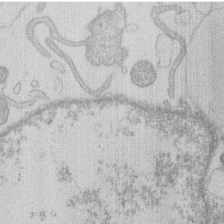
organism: Human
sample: Macrophage cells